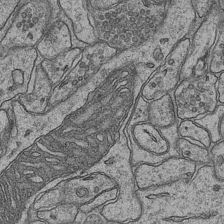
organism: Mouse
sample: CA1 Hippocampus